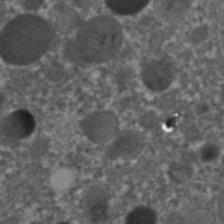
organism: C. elegans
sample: C. elegans embryo